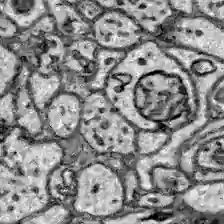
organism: Zebrafish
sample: Brain